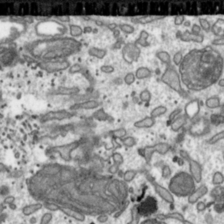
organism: Toxoplasma gondii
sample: Parasites in a vacuole inside a host cell